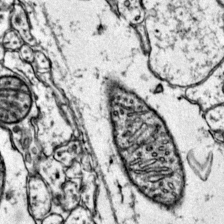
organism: Mouse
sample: Primary visual cortex